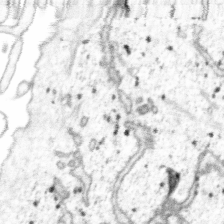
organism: Human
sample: HeLa cells